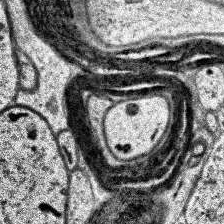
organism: Human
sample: Temporal Lobe